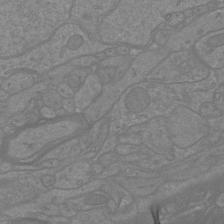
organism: Mouse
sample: Cortical neurons